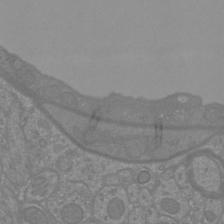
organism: Mouse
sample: Cortical neurons